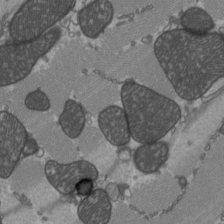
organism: C57BL Mouse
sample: Heart